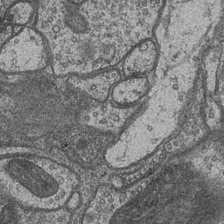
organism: Drosophila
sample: Optic medulla